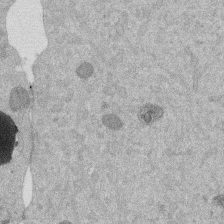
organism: Mouse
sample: Dividing mouse embryo 1 cell stage